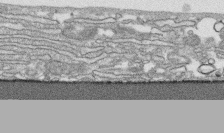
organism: Human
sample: CRL-1474